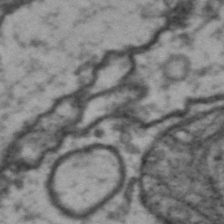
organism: Drosophila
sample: Brain